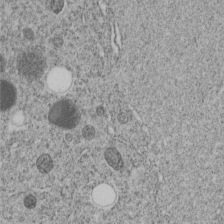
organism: C. elegans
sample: C. elegans embryo early stage